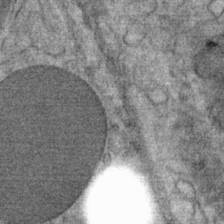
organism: Mouse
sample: Mouse Salivary gland